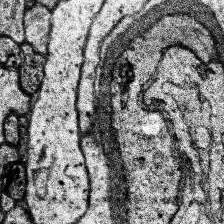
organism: Human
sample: Temporal Lobe